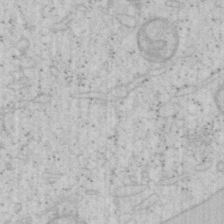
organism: Human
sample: HeLa cells